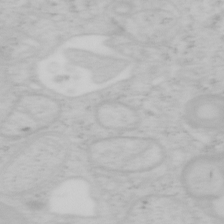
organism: Mouse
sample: OT-I killer T cells with ID8 ovarian cancer cells